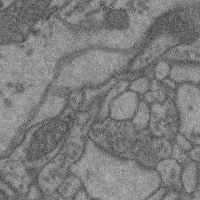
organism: Mouse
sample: Cerebral cortex